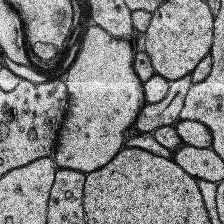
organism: Human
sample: Temporal Lobe